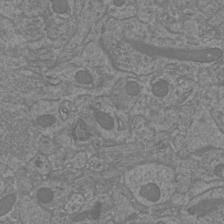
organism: Mouse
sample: Cortical neurons